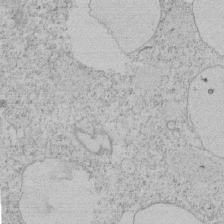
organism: Tetrahymena